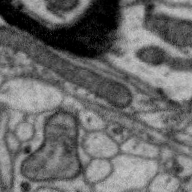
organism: Zebra finch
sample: Brain